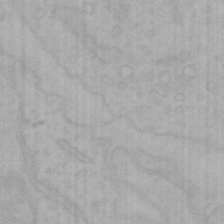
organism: Mouse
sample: Choroid plexus